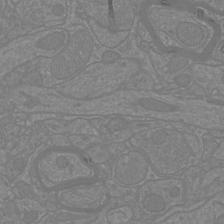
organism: Mouse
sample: Cortical neurons